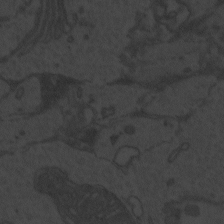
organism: Zebrafish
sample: Macrophage infected with Toxoplasma gondii